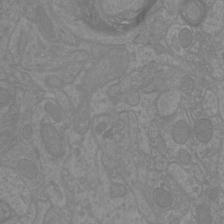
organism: Mouse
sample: Cortical neurons